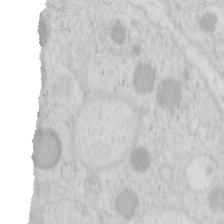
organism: Mouse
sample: Pancreas